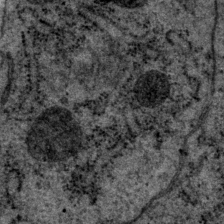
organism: P. pacificus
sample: Pharynx